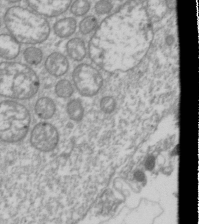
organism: Drosophila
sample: Cell division; meiosis; drosophila spermatocytes